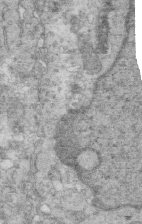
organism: Mouse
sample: Multiciliated cells